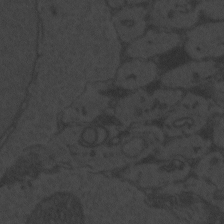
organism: Zebrafish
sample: Macrophage infected with Toxoplasma gondii